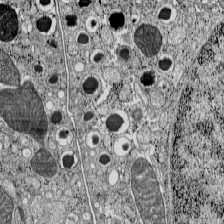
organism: C57BL Mouse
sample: Pancreatic islet